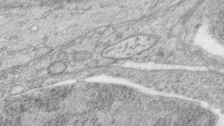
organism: Zebrafish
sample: synaptic ribbons in rod cells and cone cells